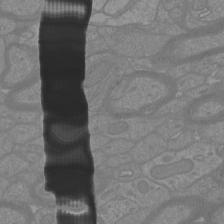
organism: Mouse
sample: Cortical neurons